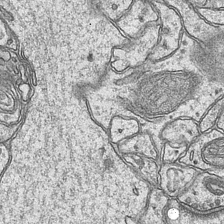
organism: Mouse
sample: CA1 Hippocampus